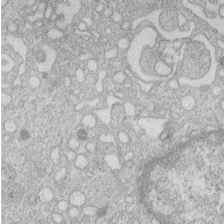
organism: Human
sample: Macrophage cells